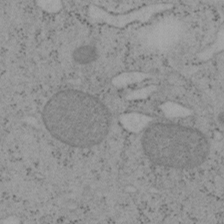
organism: Mouse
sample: OT-I killer T cells with ID8 ovarian cancer cells